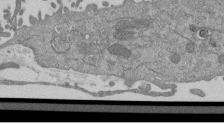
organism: Mouse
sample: ED-1 cell nuclei; centrioles